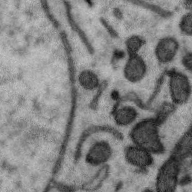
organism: Zebra finch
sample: Brain